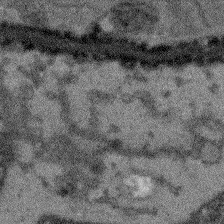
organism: Arabidopsis thaliana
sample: Root tip